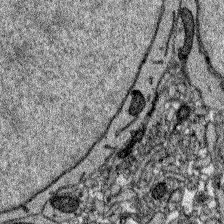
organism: Zebrafish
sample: Larval olfactory bulb